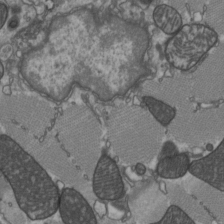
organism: C57BL Mouse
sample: Heart